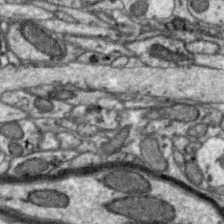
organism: Zebra finch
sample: Brain